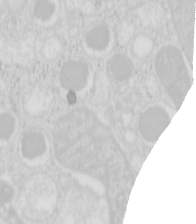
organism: Mouse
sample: Pancreas